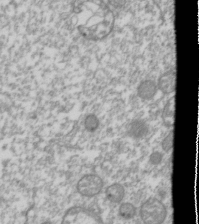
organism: Drosophila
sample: Cell division; meiosis; drosophila spermatocytes